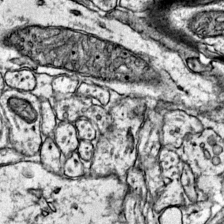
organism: Mouse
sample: Primary visual cortex